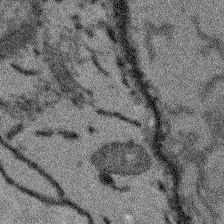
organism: Arabidopsis thaliana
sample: Root tip